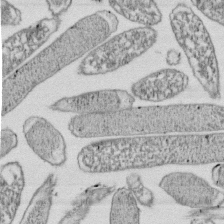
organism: E. coli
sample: Bacterial nucleoid